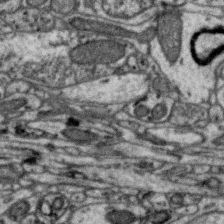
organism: Zebra finch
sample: Brain